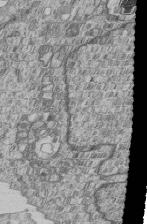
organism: Human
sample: MDA-MB-231 cells